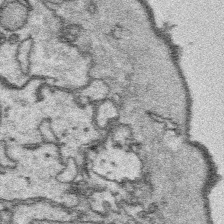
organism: Platynereis dumerilii